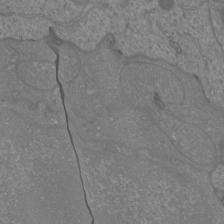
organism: Mouse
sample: Cortical neurons